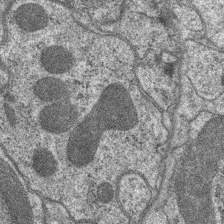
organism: C. elegans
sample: Pharynx